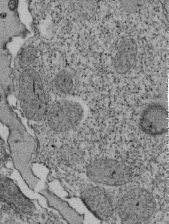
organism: Tetrahymena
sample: Cilia in tetrahymena